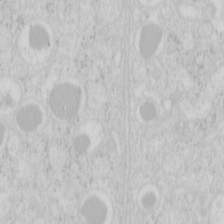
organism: Mouse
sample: Pancreas